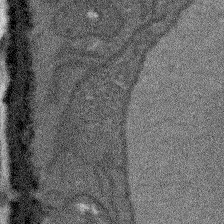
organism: Arabidopsis thaliana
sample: Root tip